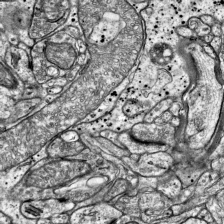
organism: Mouse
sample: Visual Cortex